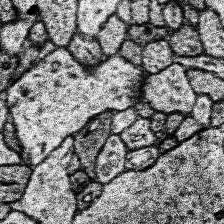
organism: Human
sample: Temporal Lobe